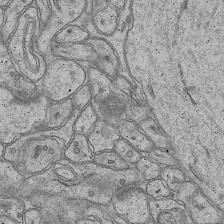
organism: Mouse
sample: CA1 Hippocampus